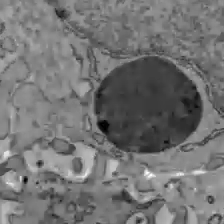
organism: C57BL Mouse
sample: Liver